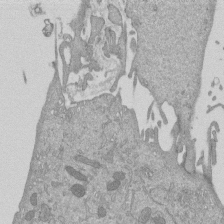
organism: Mouse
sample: ED-1 cell nuclei; centrioles